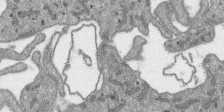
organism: Human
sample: Lung epithelial cells infected with SARS-CoV-2